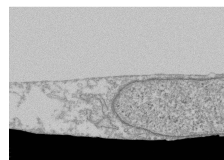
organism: Human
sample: Fibroblast cells